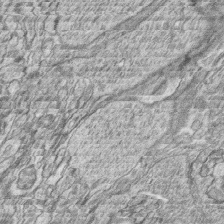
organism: Zebrafish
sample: synaptic ribbons in rod cells and cone cells